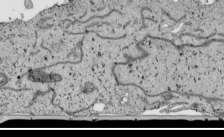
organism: Human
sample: Mitochondria in HCT116 cells